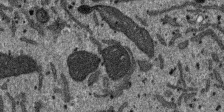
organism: Human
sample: Lung epithelial cells infected with SARS-CoV-2